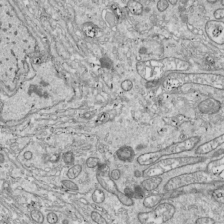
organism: Drosophila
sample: Cell division; meiosis; drosophila spermatocytes